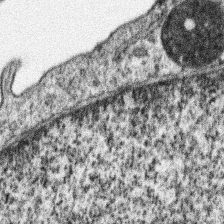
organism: Human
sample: HeLa cells